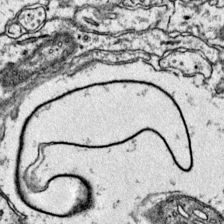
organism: Mouse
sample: Primary visual cortex